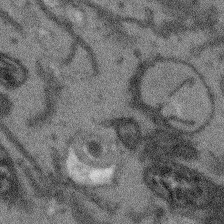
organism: Arabidopsis thaliana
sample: Root tip